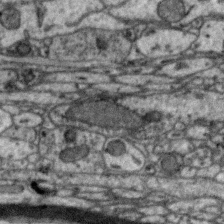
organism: Zebra finch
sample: Brain